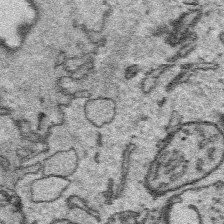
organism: Platynereis dumerilii